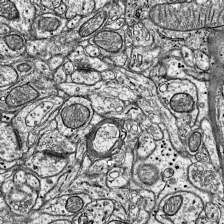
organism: Mouse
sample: Visual Cortex